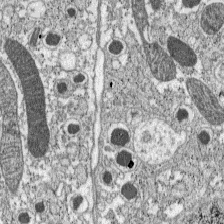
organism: C57BL Mouse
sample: Pancreatic islet